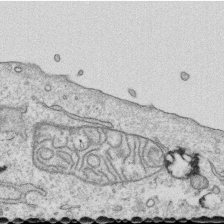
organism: Human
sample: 1205lu cells